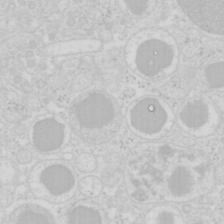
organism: Mouse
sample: Pancreas